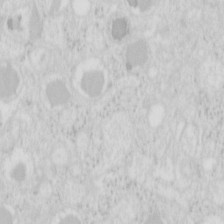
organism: Mouse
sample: Pancreas